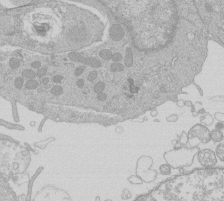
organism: Human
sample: Macrophage cells